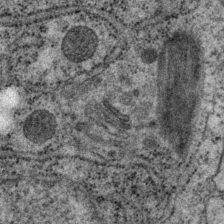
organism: P. pacificus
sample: Pharynx